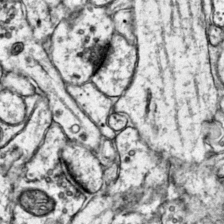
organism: Mouse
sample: Primary visual cortex